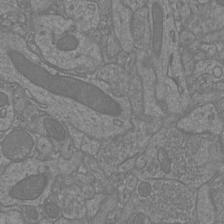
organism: Mouse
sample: Cortical neurons